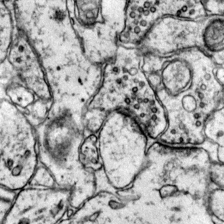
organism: Mouse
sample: Primary visual cortex